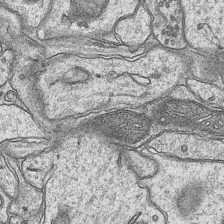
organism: Mouse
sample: CA1 Hippocampus